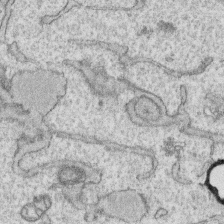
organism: Human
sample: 1205lu cells